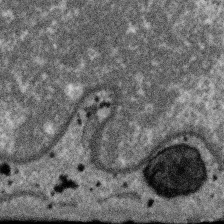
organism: Human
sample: Lung epithelial cells infected with SARS-CoV-2